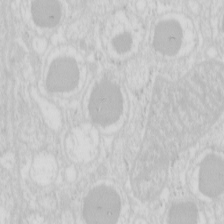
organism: Mouse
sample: Pancreas